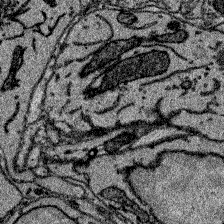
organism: Zebrafish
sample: Larval olfactory bulb